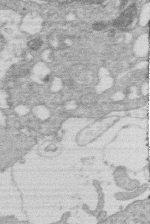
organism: Human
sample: Macrophage cells